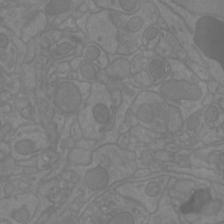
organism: Mouse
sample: Cortical neurons